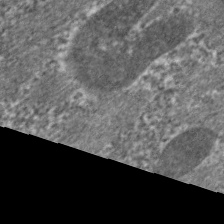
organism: C. elegans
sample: Pharynx